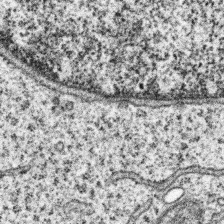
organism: Human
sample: HeLa cells